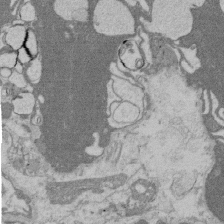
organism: Rat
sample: Salivary granule